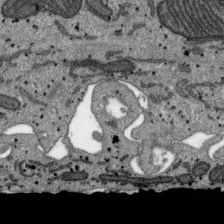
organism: Human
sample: Lung epithelial cells, uninfected (mock) control